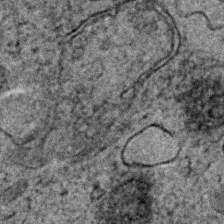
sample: Trachea